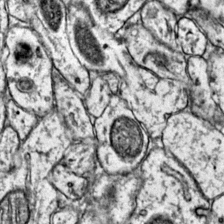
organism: Mouse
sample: Primary visual cortex